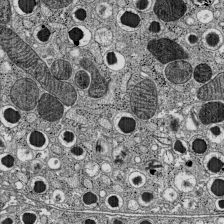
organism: C57BL Mouse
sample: Pancreatic islet